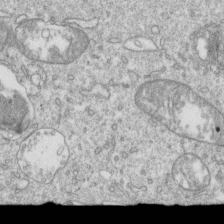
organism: Mouse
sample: Activated OT-1 CD8+ T cells